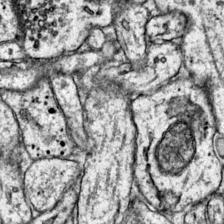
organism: Mouse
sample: Primary visual cortex